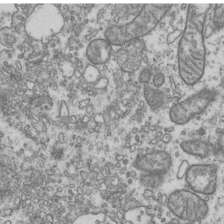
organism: Human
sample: Activated Jurkat CD4+ T cells